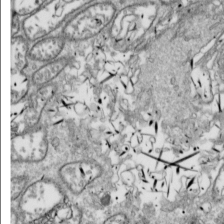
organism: Drosophila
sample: Cell division; meiosis; drosophila spermatocytes